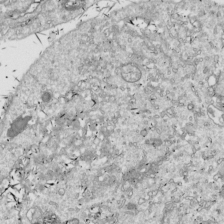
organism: Drosophila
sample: Cell division; meiosis; drosophila spermatocytes